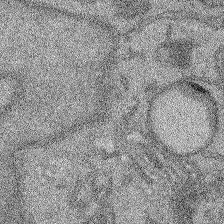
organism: Human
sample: HeLa cells